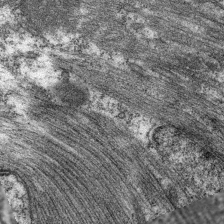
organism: C. elegans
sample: Pharynx